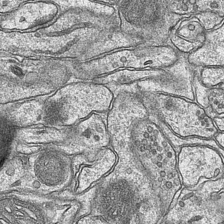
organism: Mouse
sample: CA1 Hippocampus